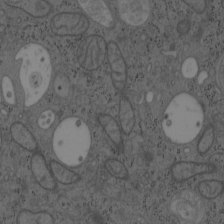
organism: Mouse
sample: OT-I killer T cells with ID8 ovarian cancer cells